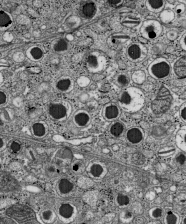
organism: C57BL Mouse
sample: Pancreatic islet